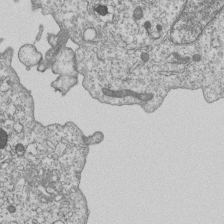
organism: Human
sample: MDA-MB-231 cells